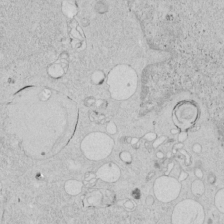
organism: Human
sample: Mitochondria in HCT116 cells